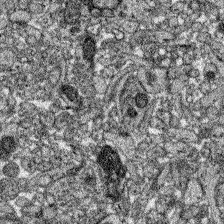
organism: Zebrafish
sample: Larval olfactory bulb